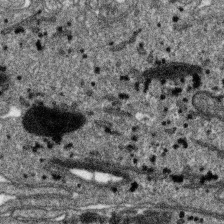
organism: Human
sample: Lung epithelial cells infected with SARS-CoV-2